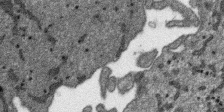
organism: Human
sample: Lung epithelial cells infected with SARS-CoV-2